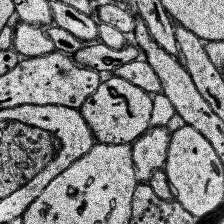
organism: Human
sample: Temporal Lobe